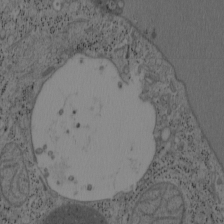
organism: Mouse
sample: OT-I killer T cells with ID8 ovarian cancer cells